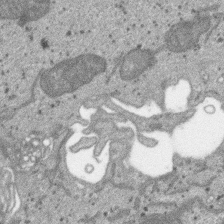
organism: Human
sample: Lung epithelial cells infected with SARS-CoV-2